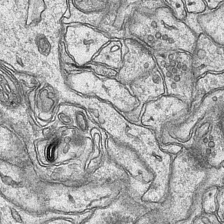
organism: Mouse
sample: CA1 Hippocampus